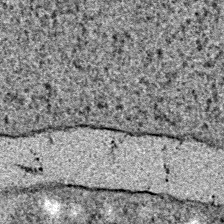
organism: E. coli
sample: E. Coli Bacteria